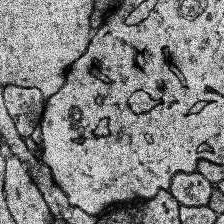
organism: Human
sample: Temporal Lobe